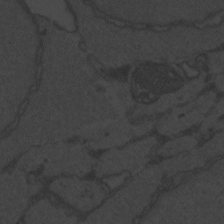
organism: Zebrafish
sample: Macrophage infected with Toxoplasma gondii